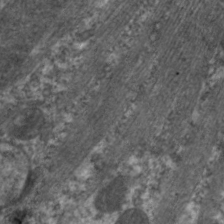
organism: C. elegans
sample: Pharynx